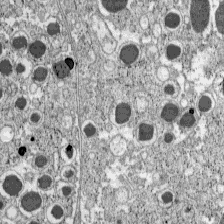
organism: C57BL Mouse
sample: Pancreatic islet